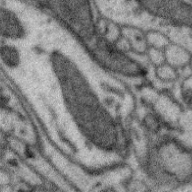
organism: Zebra finch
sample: Brain